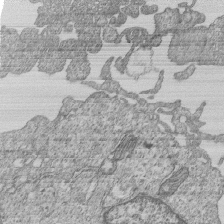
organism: Human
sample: MDA-MB-231 cells